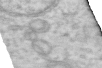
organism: Human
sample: Centriole in RPE cells